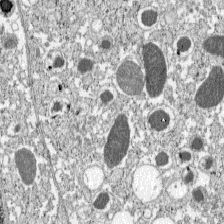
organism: C57BL Mouse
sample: Pancreatic islet